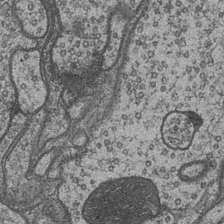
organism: Drosophila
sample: Optic medulla